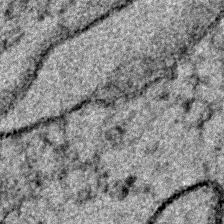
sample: Trachea